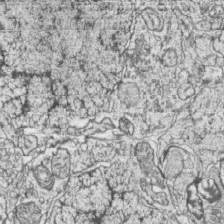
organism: Zebrafish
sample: synaptic ribbons in rod cells and cone cells